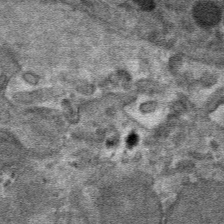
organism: Mouse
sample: Mouse hepatocytes